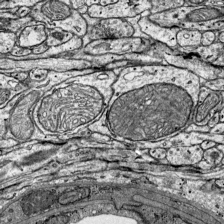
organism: Mouse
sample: Visual Cortex